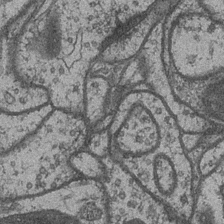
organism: Drosophila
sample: Optic medulla